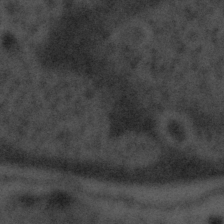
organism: Tuwongella immobilis